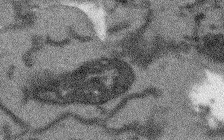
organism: Arabidopsis thaliana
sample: Root tip